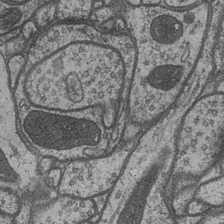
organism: Drosophila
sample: Optic medulla